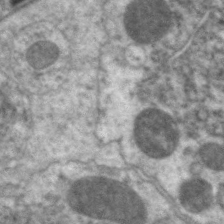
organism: C. elegans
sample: Pharynx